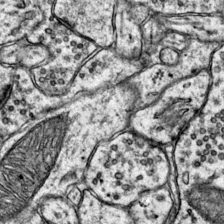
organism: Mouse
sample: Primary visual cortex